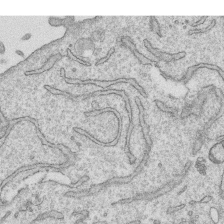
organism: Human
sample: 1205lu cells